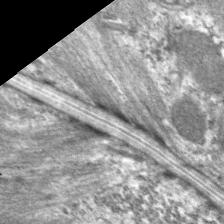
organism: C. elegans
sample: Pharynx